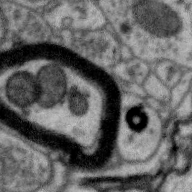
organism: Zebra finch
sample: Brain